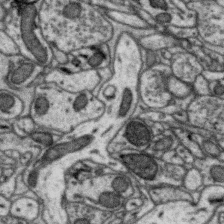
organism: Zebra finch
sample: Brain